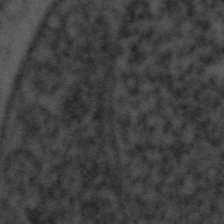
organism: Tuwongella immobilis